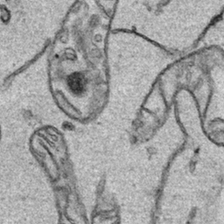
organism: Human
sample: Mitochondria in HCT116 cells